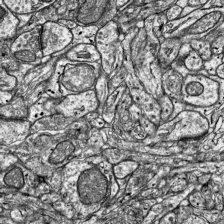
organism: Mouse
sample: Visual Cortex